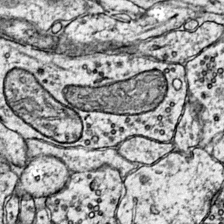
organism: Mouse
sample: Primary visual cortex